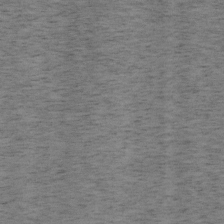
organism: Mouse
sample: OT-I killer T cells with ID8 ovarian cancer cells